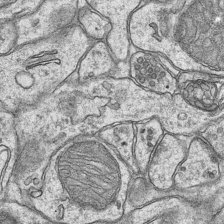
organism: Mouse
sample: CA1 Hippocampus